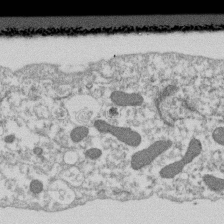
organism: Dictyostelium discoideum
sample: Dictyostelium multivesicular bodies